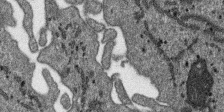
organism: Human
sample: Lung epithelial cells infected with SARS-CoV-2